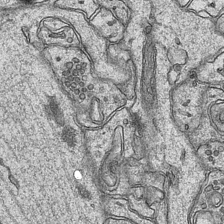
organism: Mouse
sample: CA1 Hippocampus